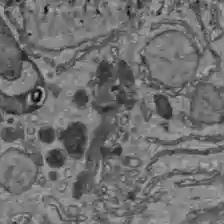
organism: C57BL Mouse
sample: Liver